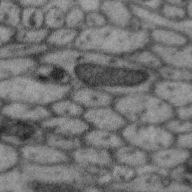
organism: Zebra finch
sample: Brain